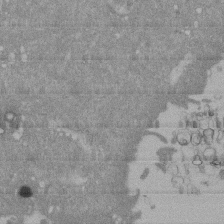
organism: Mouse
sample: ED-1 cell nuclei; centrioles